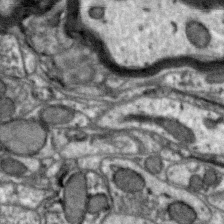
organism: Zebra finch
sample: Brain